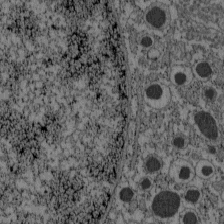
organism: C57BL Mouse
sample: Pancreatic islet